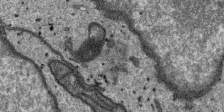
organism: Human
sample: Lung epithelial cells, uninfected (mock) control